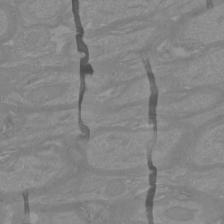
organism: Mouse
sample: Cortical neurons